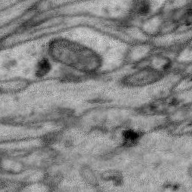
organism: Zebra finch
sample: Brain